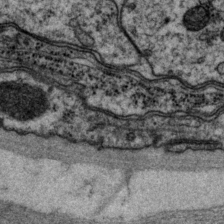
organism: P. pacificus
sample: Pharynx